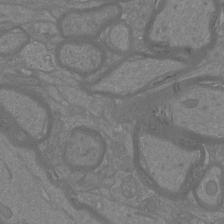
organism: Mouse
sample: Cortical neurons